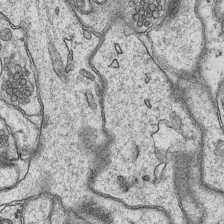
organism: Mouse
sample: CA1 Hippocampus